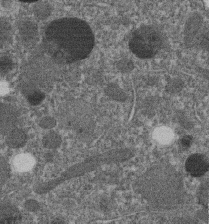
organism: C. elegans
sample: C. elegans embryo early stage